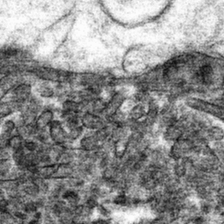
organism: Mouse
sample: Mouse hepatocytes